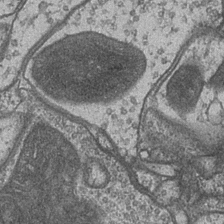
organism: Drosophila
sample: Optic medulla